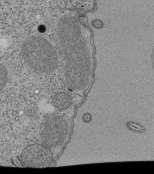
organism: Tetrahymena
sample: Cilia in tetrahymena